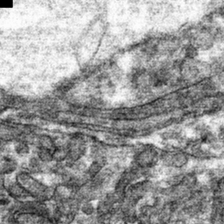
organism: Mouse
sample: Mouse hepatocytes